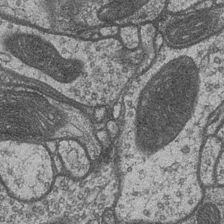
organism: Drosophila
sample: Optic medulla